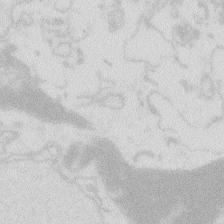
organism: Zebrafish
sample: Macrophage